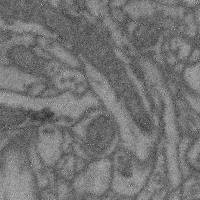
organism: Mouse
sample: Cerebral cortex